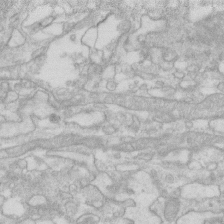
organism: Human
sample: Fibroblast cells